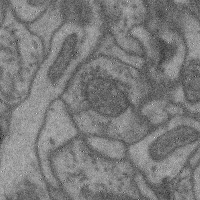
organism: Mouse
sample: Cerebral cortex